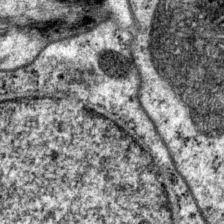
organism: P. pacificus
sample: Pharynx